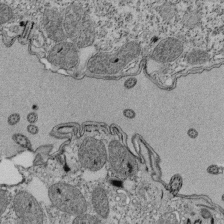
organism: Tetrahymena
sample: Cilia in tetrahymena